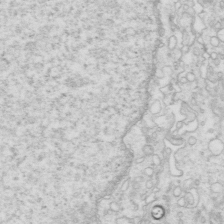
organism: Mouse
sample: Multiciliated cells